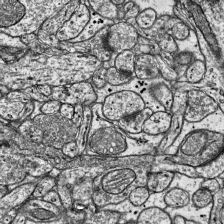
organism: Mouse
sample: Visual Cortex